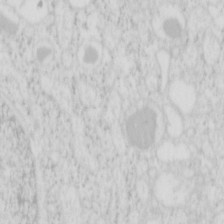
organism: Mouse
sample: Pancreas